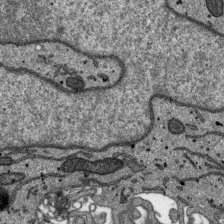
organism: Human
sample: Lung epithelial cells, uninfected (mock) control